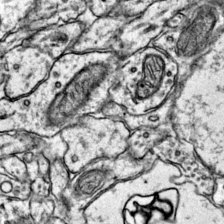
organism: Mouse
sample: Primary visual cortex